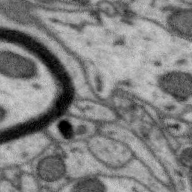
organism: Zebra finch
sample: Brain